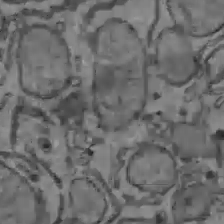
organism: C57BL Mouse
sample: Liver